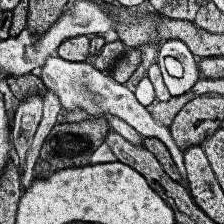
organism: Human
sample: Temporal Lobe